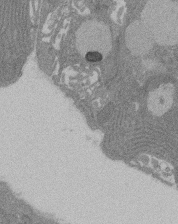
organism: Rat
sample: Salivary granule